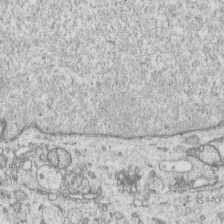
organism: Human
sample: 1205lu cells